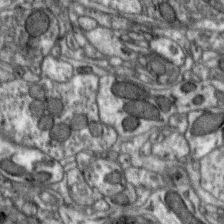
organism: Zebra finch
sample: Brain